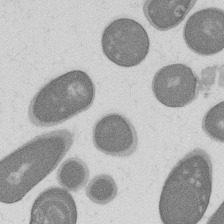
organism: B. subtilis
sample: Bacterial spore